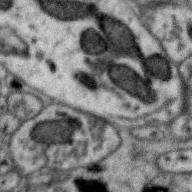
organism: Zebra finch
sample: Brain